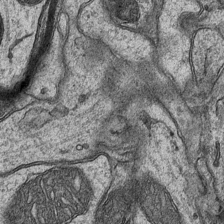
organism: Mouse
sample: CA1 Hippocampus